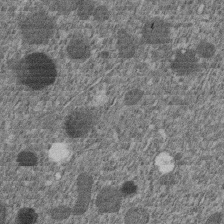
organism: C. elegans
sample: C. elegans embryo early stage